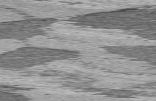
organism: C57BL Mouse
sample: Heart